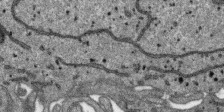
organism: Human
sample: Lung epithelial cells, uninfected (mock) control